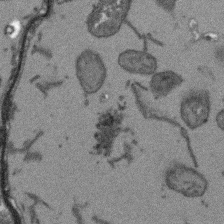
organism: Arabidopsis thaliana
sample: Root tip